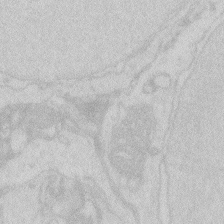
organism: Zebrafish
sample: Macrophage